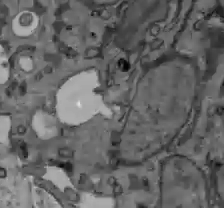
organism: C57BL Mouse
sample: Liver